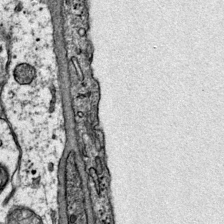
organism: Mouse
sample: Primary visual cortex